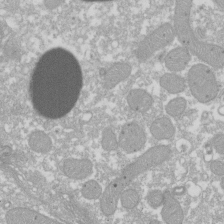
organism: Xenopus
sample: Cilia; centrioles in frog embryo cells